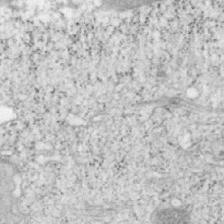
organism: Mouse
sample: OT-I killer T cells with ID8 ovarian cancer cells